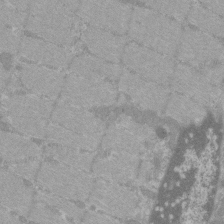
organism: C57BL Mouse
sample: Tibialis anterior muscle cell